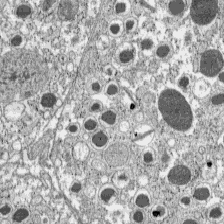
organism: C57BL Mouse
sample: Pancreatic islet